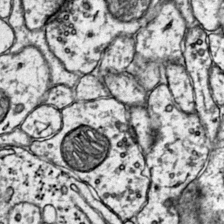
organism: Mouse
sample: Primary visual cortex